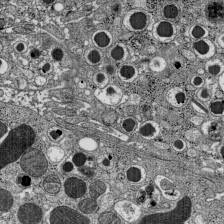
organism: C57BL Mouse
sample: Pancreatic islet